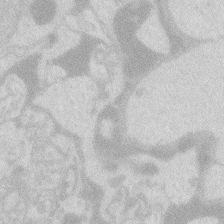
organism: Zebrafish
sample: Macrophage